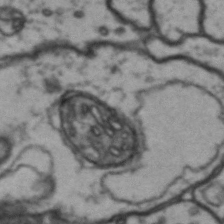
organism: Drosophila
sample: Brain